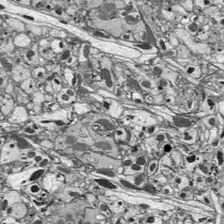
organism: Drosophila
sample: Optic lobe